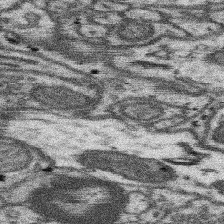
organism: Mouse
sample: Somatosensory cortex neuropil